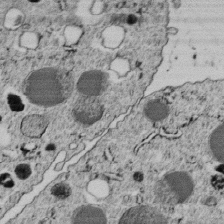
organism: C. elegans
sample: C. elegans embryo early stage